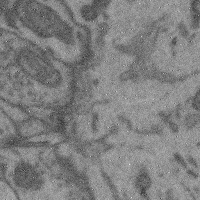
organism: Mouse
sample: Cerebral cortex